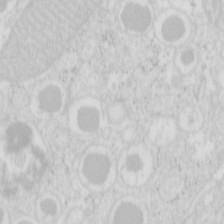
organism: Mouse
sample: Pancreas